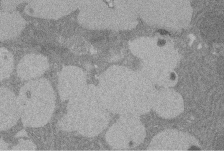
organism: Rat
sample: Salivary granule